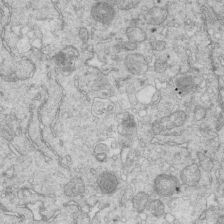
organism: Mouse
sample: Multiciliated cells